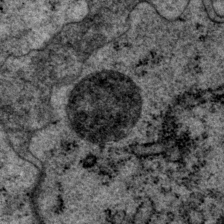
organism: P. pacificus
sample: Pharynx